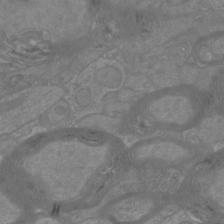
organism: Mouse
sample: Cortical neurons